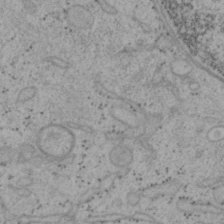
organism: Human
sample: HeLa cells